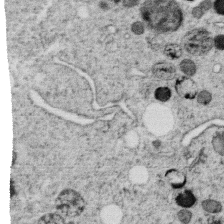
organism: C. elegans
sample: C. elegans oocyte; sperm cells